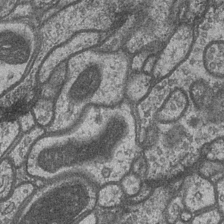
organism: Drosophila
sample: Optic medulla